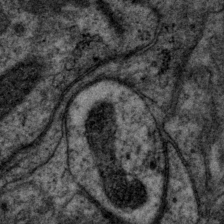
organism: P. pacificus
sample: Pharynx